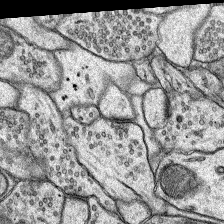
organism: Rat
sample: Hippocampus